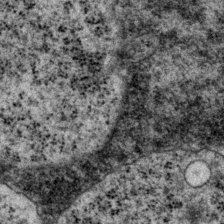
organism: P. pacificus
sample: Pharynx